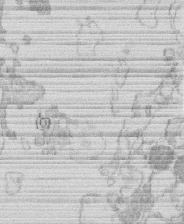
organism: Human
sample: Macrophage cells